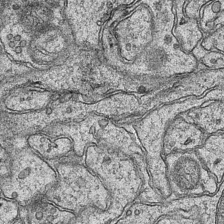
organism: Mouse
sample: CA1 Hippocampus